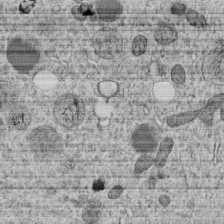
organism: C. elegans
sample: C. elegans embryo early stage